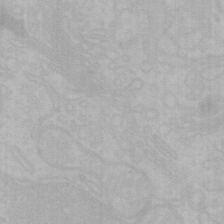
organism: Mouse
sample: Choroid plexus